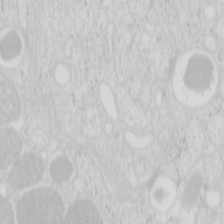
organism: Mouse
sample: Pancreas